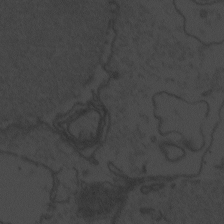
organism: Zebrafish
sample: Macrophage infected with Toxoplasma gondii